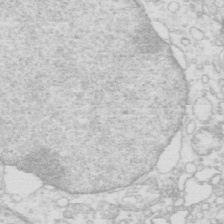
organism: Mouse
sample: Multiciliated cells